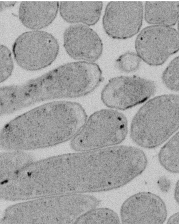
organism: E. coli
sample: Bacterial nucleoid